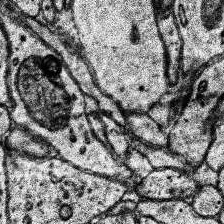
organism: Human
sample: Temporal Lobe